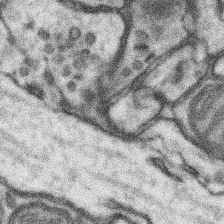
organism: Mouse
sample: Somatosensory cortex neuropil